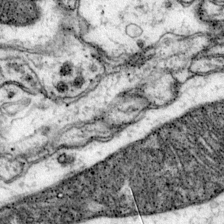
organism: Mouse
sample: Primary visual cortex